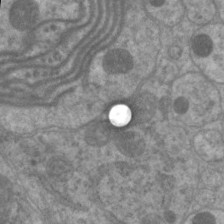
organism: C. elegans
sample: Pharynx